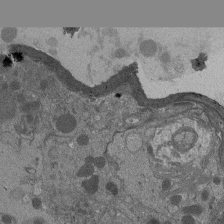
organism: Drosophila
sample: Antenna